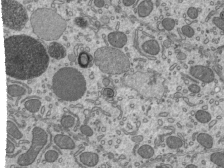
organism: Mouse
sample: Mouse epididymis efferent ductule cilia